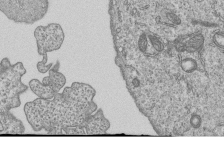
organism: Human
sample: MDA-MB-231 cells